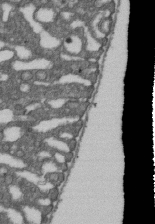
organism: Drosophila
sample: Nephrocyte